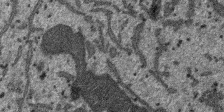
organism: Human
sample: Lung epithelial cells infected with SARS-CoV-2